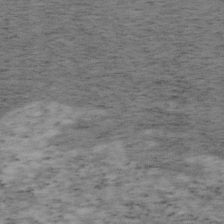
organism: Mouse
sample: OT-I killer T cells with ID8 ovarian cancer cells